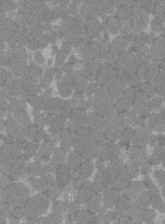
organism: C57BL Mouse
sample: Tibialis anterior muscle cell